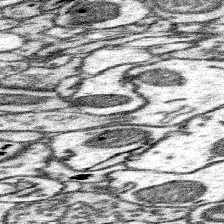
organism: Mouse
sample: Somatosensory cortex neuropil